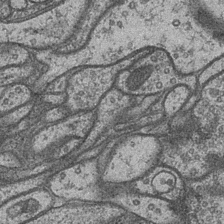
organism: Drosophila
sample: Optic medulla